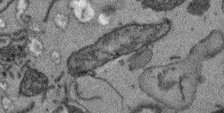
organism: Arabidopsis thaliana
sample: Root tip